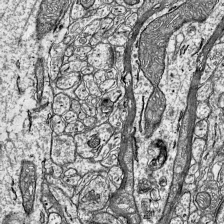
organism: Mouse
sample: Visual Cortex